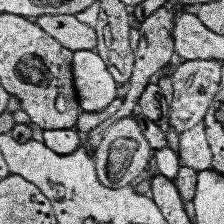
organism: Human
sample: Temporal Lobe